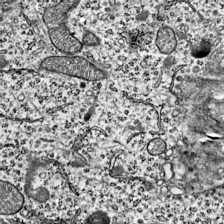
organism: Mouse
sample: Visual Cortex